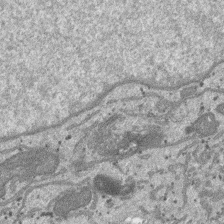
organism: Human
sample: Lung epithelial cells infected with SARS-CoV-2